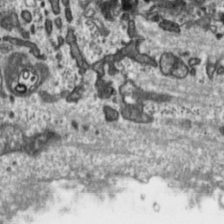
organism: Toxoplasma gondii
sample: Parasites in a vacuole inside a host cell